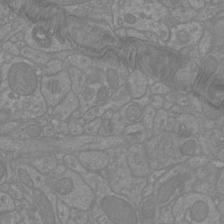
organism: Mouse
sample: Cortical neurons